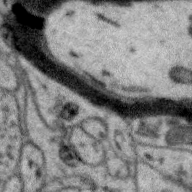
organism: Zebra finch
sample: Brain